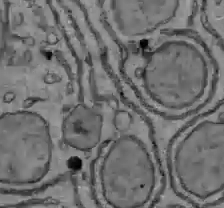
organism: C57BL Mouse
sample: Liver